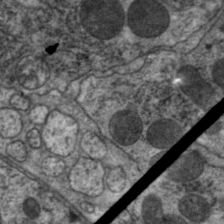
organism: C. elegans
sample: Pharynx